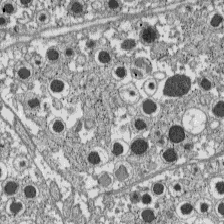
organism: C57BL Mouse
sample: Pancreatic islet